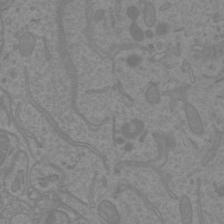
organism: Mouse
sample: Cortical neurons